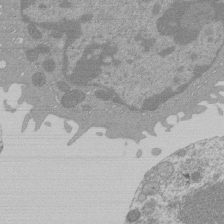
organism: Mouse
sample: Activated Pmel transgenic CD8+ T Cells